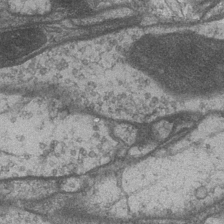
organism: Drosophila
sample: Optic medulla